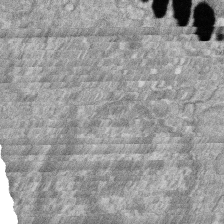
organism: Zebrafish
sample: Cilia; retinal pigment epithelium